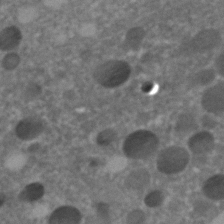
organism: C. elegans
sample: C. elegans embryo